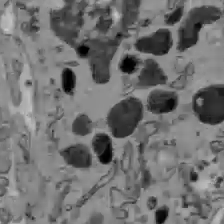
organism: C57BL Mouse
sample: Liver